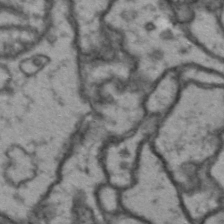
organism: Drosophila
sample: Brain